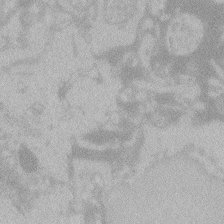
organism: Zebrafish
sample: Macrophage infected with Toxoplasma gondii